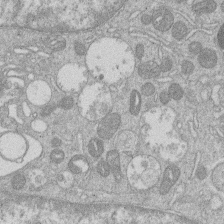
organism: Human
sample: Macrophage cells